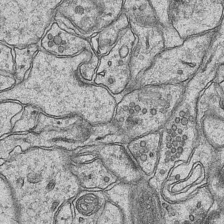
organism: Mouse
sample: CA1 Hippocampus